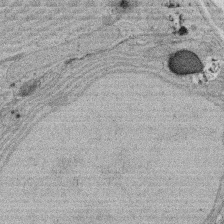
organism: Rat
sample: Salivary granule